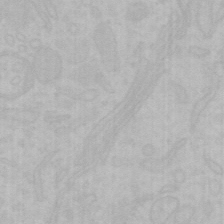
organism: Mouse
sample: Choroid plexus